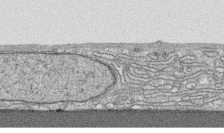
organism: Human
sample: CRL-1474